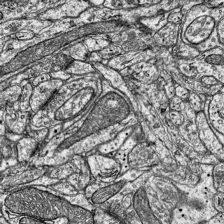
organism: Mouse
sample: Visual Cortex